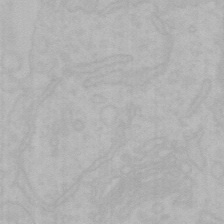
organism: Mouse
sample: Choroid plexus